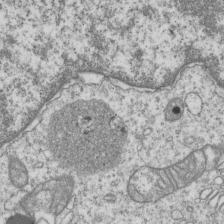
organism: Human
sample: MDA-MB-231 cells